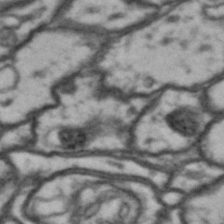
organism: Drosophila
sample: Brain